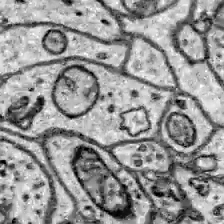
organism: Zebrafish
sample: Brain